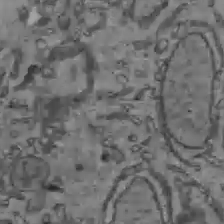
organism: C57BL Mouse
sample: Liver